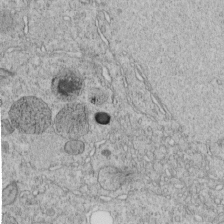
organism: C. elegans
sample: C. elegans embryo early stage